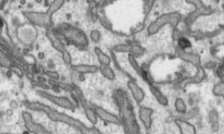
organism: Toxoplasma gondii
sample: Parasites in a vacuole inside a host cell